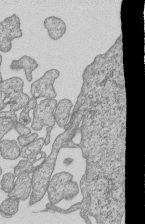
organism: Human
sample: MDA-MB-231 cells